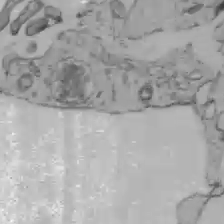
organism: C57BL Mouse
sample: Liver